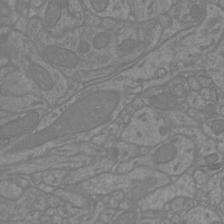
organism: Mouse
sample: Cortical neurons